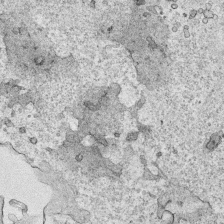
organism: Human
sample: Mitochondria in HCT116 cells